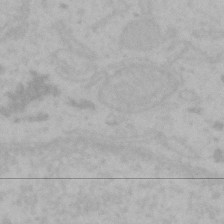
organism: Mouse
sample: Choroid plexus